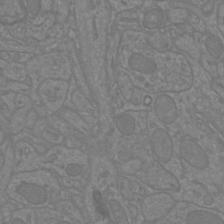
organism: Mouse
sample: Cortical neurons